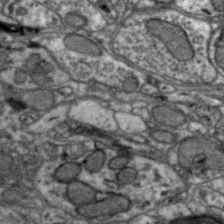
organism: Zebra finch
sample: Brain